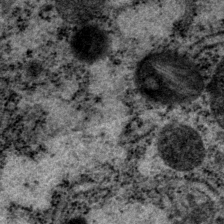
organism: P. pacificus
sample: Pharynx